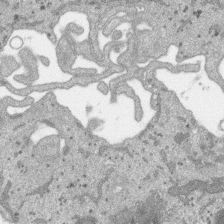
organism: Human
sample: Lung epithelial cells infected with SARS-CoV-2